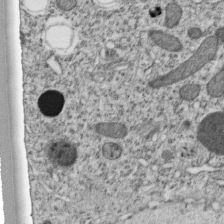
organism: C. elegans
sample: C. elegans embryo early stage